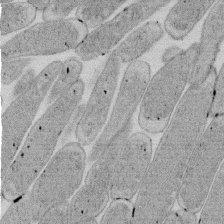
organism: E. coli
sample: Bacterial nucleoid